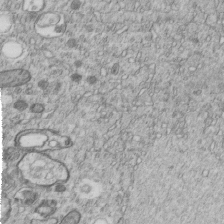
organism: C. elegans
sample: C. elegans embryo early stage